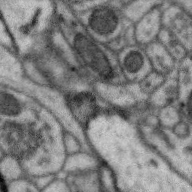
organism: Zebra finch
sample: Brain